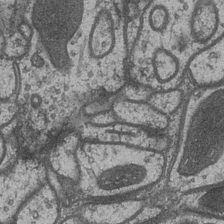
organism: Drosophila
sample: Optic medulla